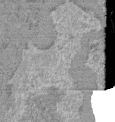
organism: Mouse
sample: Glomerulus